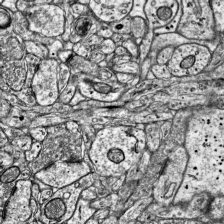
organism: Mouse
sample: Visual Cortex